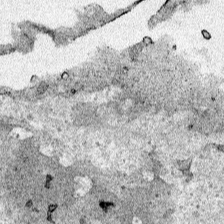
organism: Human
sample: Mitochondria in HCT116 cells